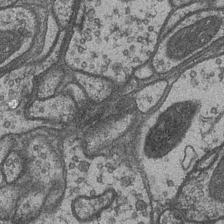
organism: Drosophila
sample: Optic medulla